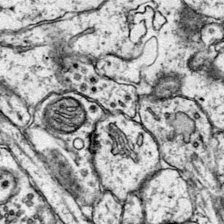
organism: Mouse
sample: Primary visual cortex